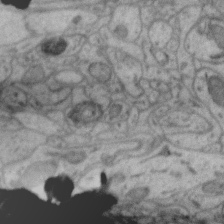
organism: Zebra finch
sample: Brain